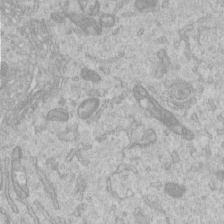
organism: Human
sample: Centriole in RPE cells